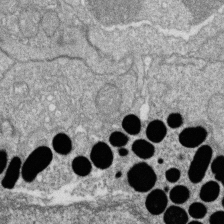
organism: Zebrafish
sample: Cilia; retinal pigment epithelium